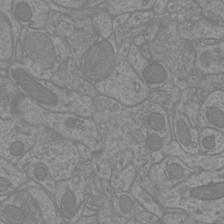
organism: Mouse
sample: Cortical neurons